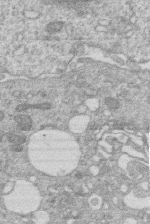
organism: Human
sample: Macrophage cells